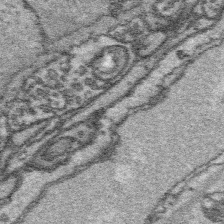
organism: Platynereis dumerilii